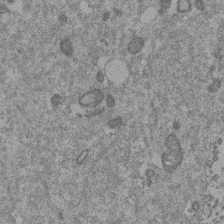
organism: Mouse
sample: Dividing mouse embryo 1 cell stage